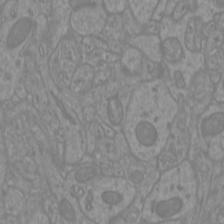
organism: Mouse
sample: Cortical neurons